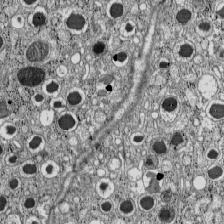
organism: C57BL Mouse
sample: Pancreatic islet